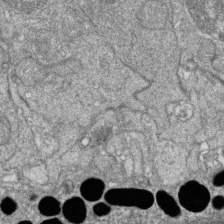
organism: Zebrafish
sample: Cilia; retinal pigment epithelium